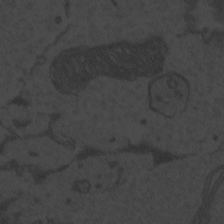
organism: Zebrafish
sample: Macrophage infected with Toxoplasma gondii